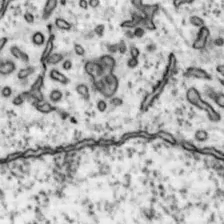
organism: Mouse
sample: Nucleus accumbens